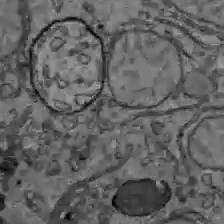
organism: C57BL Mouse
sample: Liver